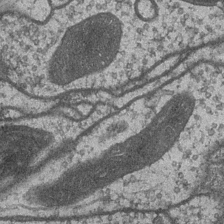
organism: Drosophila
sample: Optic medulla